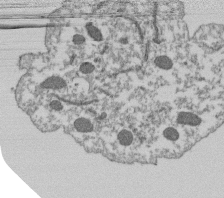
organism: Dictyostelium discoideum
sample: Dictyostelium multivesicular bodies